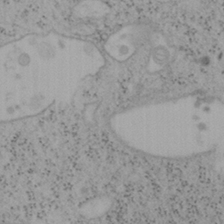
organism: Mouse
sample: OT-I killer T cells with ID8 ovarian cancer cells